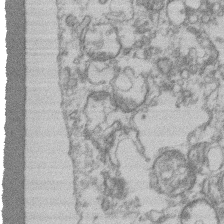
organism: Mouse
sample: T cell stromal cell synapse